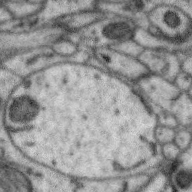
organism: Zebra finch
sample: Brain